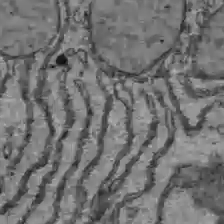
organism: C57BL Mouse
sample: Liver